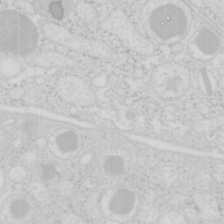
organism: Mouse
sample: Pancreas